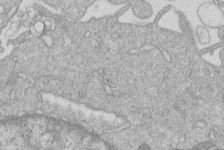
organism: Human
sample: Macrophage cells